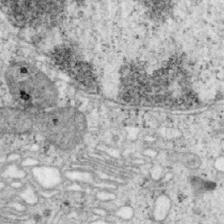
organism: Mouse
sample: OT-I killer T cells with ID8 ovarian cancer cells